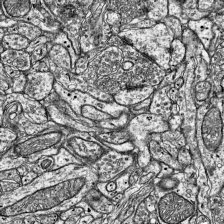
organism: Mouse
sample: Visual Cortex